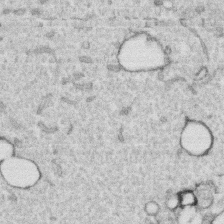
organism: Human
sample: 1205lu cells